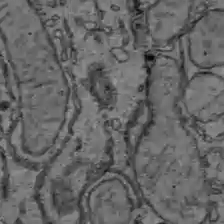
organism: C57BL Mouse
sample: Liver